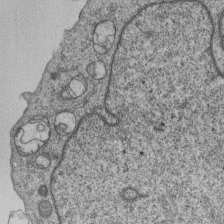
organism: Human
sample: MDA-MB-231 cells